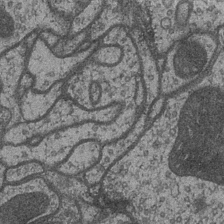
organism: Drosophila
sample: Optic medulla